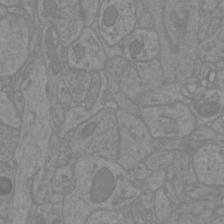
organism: Mouse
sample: Cortical neurons